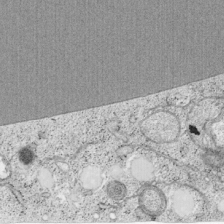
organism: African green monkey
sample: COS-7 cells